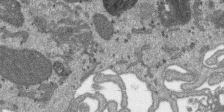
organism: Human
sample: Lung epithelial cells infected with SARS-CoV-2